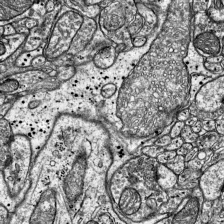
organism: Mouse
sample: Visual Cortex